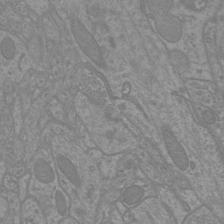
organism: Mouse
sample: Cortical neurons